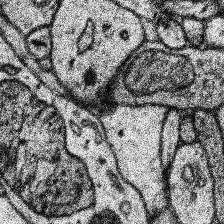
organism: Human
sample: Temporal Lobe